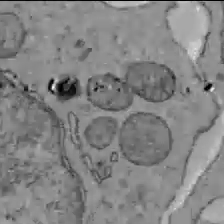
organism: C57BL Mouse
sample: Liver